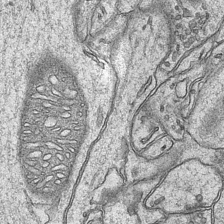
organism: Mouse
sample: CA1 Hippocampus